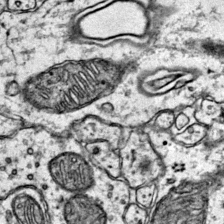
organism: Mouse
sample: Primary visual cortex